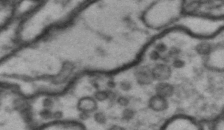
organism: Drosophila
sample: Brain